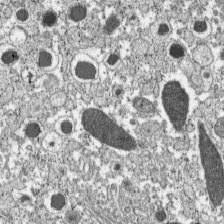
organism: C57BL Mouse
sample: Pancreatic islet